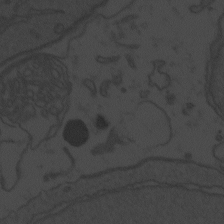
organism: Zebrafish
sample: Macrophage infected with Toxoplasma gondii